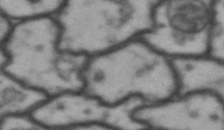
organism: Drosophila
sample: Brain